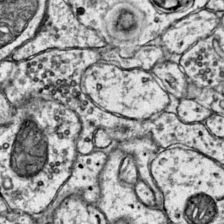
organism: Mouse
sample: Primary visual cortex